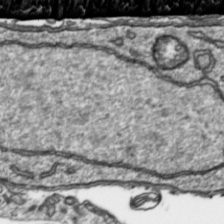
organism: Toxoplasma gondii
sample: Parasites in a vacuole inside a host cell